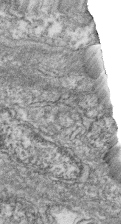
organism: Zebrafish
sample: Cilia; retinal pigment epithelium